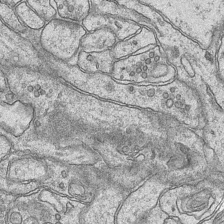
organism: Mouse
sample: CA1 Hippocampus